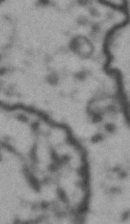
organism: Drosophila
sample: Brain